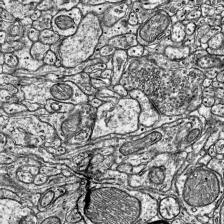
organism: Mouse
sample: Visual Cortex